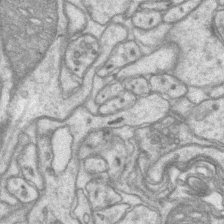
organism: Mouse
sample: CA1 Hippocampus